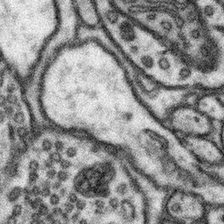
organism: Mouse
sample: Somatosensory cortex neuropil